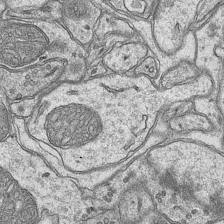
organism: Mouse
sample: CA1 Hippocampus